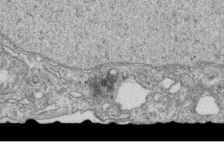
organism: Human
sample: HeLa cell HIV synapse